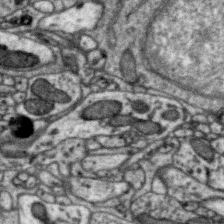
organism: Zebra finch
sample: Brain